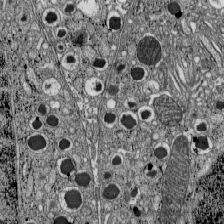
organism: C57BL Mouse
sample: Pancreatic islet